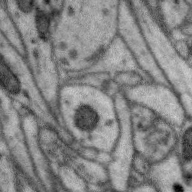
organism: Zebra finch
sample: Brain